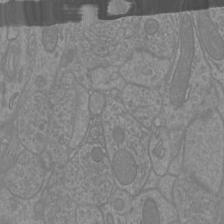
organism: Mouse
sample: Cortical neurons